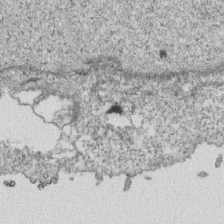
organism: Human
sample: HeLa cell HIV synapse